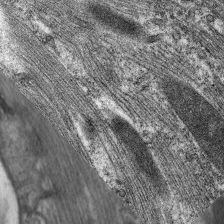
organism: C. elegans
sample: Pharynx